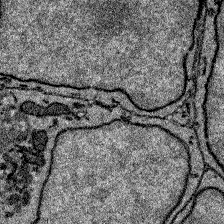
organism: Zebrafish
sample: Larval olfactory bulb